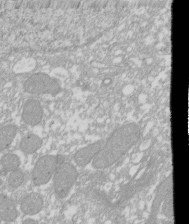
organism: Xenopus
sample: Cilia; centrioles in frog embryo cells